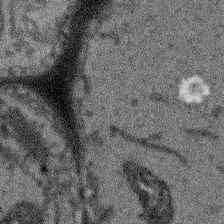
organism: Arabidopsis thaliana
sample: Root tip